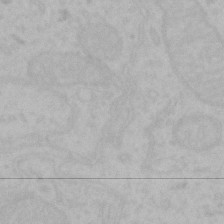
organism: Mouse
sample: Choroid plexus